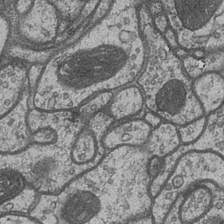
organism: Drosophila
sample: Optic medulla